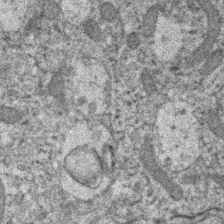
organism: Human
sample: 1205lu cells